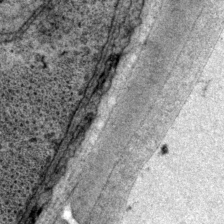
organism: P. pacificus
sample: Pharynx